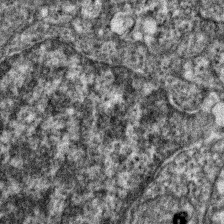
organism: Zebrafish